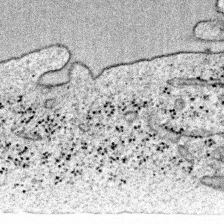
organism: Human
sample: HeLa cells